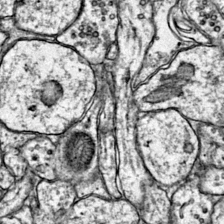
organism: Mouse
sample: Primary visual cortex